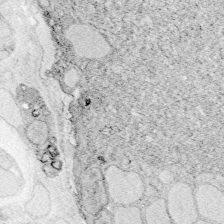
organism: Zebrafish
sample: Whole-Brain